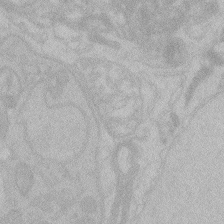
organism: Zebrafish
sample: Macrophage infected with Toxoplasma gondii